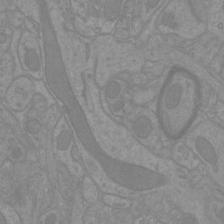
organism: Mouse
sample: Cortical neurons